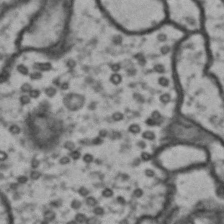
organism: Drosophila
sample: Brain